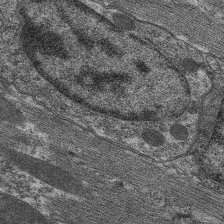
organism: C. elegans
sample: Pharynx